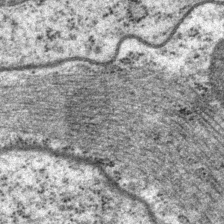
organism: P. pacificus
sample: Pharynx